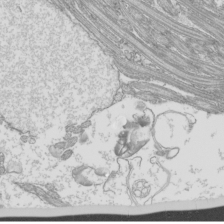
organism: Mouse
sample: Cilia; mouse epididymis